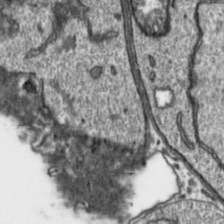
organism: Toxoplasma gondii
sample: Parasites in a vacuole inside a host cell